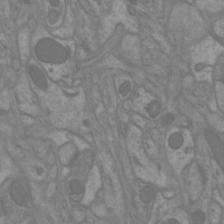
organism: Mouse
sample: Cortical neurons